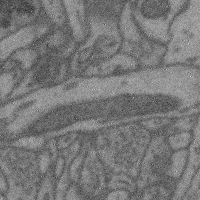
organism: Mouse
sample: Cerebral cortex